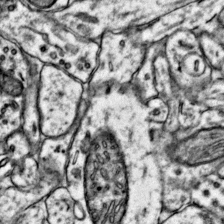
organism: Mouse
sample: Primary visual cortex